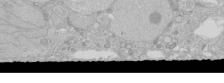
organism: Human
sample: Caco-2 cells